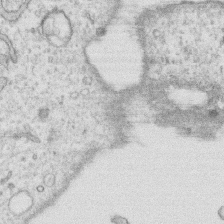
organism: Human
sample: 1205lu cells